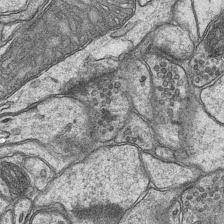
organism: Mouse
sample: CA1 Hippocampus